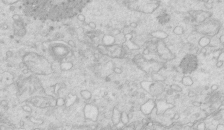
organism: Mouse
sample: Multiciliated cells